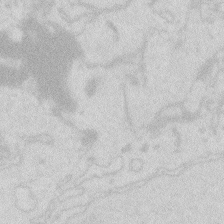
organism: Zebrafish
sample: Macrophage